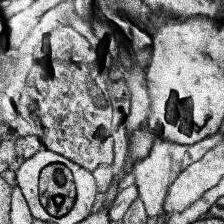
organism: Human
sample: Temporal Lobe